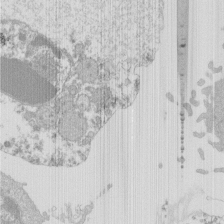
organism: Mouse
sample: Activated Pmel transgenic CD8+ T Cells